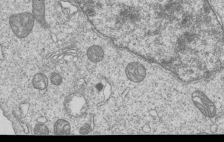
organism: Human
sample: MDA-MB-231 cells